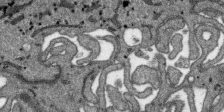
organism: Human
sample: Lung epithelial cells, uninfected (mock) control